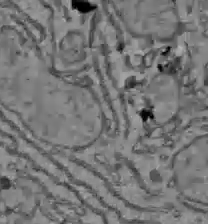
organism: C57BL Mouse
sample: Liver